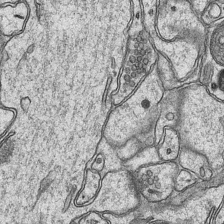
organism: Mouse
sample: CA1 Hippocampus